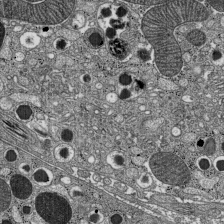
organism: C57BL Mouse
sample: Pancreatic islet